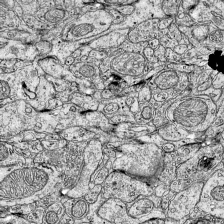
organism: Mouse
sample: Visual Cortex